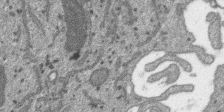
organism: Human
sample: Lung epithelial cells infected with SARS-CoV-2